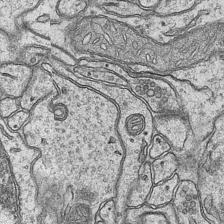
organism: Mouse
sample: CA1 Hippocampus